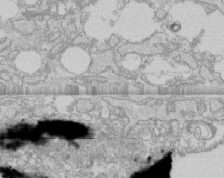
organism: Human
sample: CRL-1474